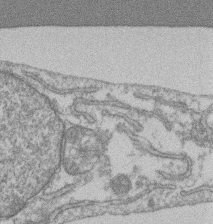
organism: Mouse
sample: T cell stromal cell synapse